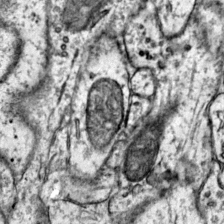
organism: Mouse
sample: Primary visual cortex